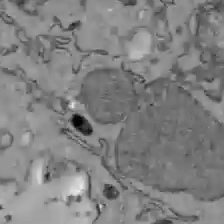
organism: C57BL Mouse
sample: Liver